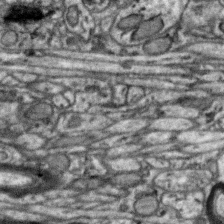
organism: Zebra finch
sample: Brain